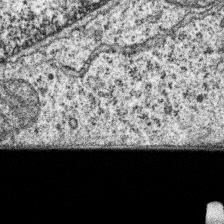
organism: Human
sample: HeLa cells